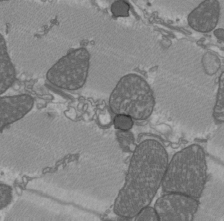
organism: C57BL Mouse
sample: Heart